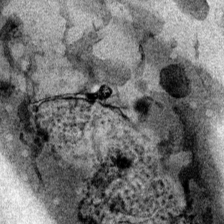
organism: Mouse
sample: Cancer cell death in ED-1 cells